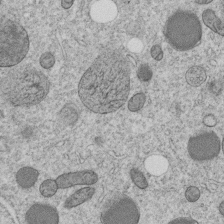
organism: C. elegans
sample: C. elegans embryo early stage